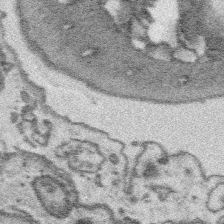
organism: Platynereis dumerilii